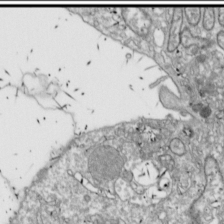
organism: Drosophila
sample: Cell division; meiosis; drosophila spermatocytes